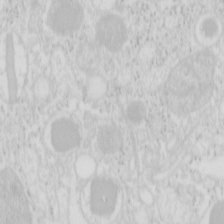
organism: Mouse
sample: Pancreas